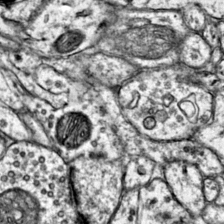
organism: Mouse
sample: Primary visual cortex